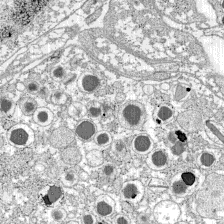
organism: C57BL Mouse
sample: Pancreatic islet